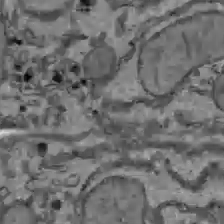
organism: C57BL Mouse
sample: Liver